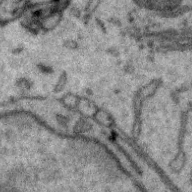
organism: Zebra finch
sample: Brain